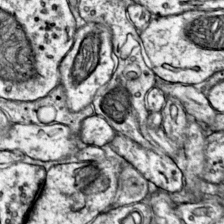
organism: Mouse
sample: Primary visual cortex